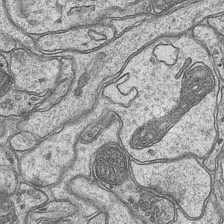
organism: Mouse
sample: CA1 Hippocampus